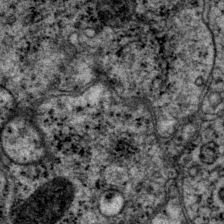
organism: P. pacificus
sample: Pharynx